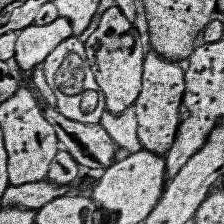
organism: Human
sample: Temporal Lobe